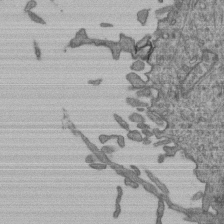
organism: Human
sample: Retinal organoid Rod and Cone cells